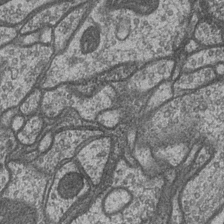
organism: Drosophila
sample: Optic medulla